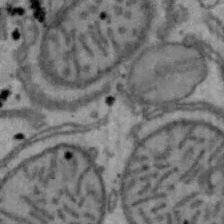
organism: Mouse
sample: Liver